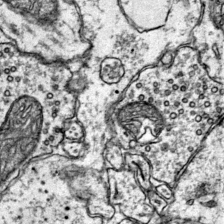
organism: Mouse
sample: Primary visual cortex